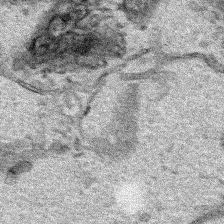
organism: Human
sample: Mitochondria in HCT116 cells